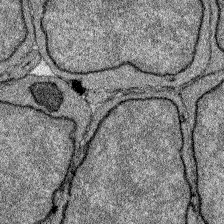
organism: Zebrafish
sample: Larval olfactory bulb